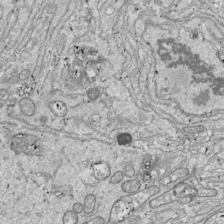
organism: Drosophila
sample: Cell division; meiosis; drosophila spermatocytes